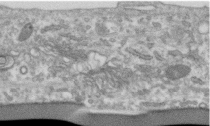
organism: Human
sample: Centriole in RPE cells